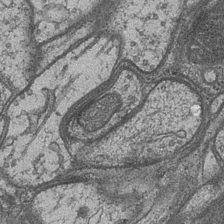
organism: Drosophila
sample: Optic medulla